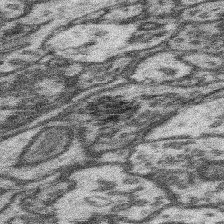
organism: Mouse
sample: Somatosensory cortex neuropil